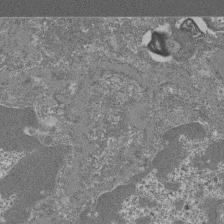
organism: Mouse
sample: Glomerulus